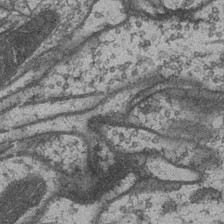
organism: Drosophila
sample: Optic medulla